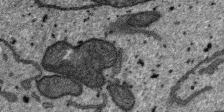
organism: Human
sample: Lung epithelial cells, uninfected (mock) control